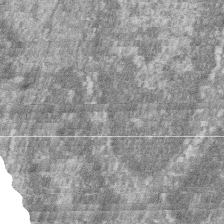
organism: Zebrafish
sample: Cilia; retinal pigment epithelium